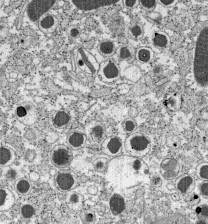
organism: C57BL Mouse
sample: Pancreatic islet